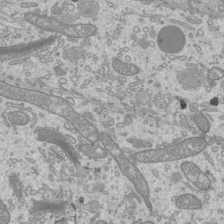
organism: Mouse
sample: Cilia; mouse epididymis